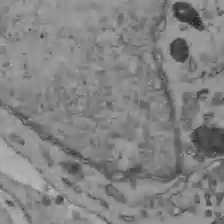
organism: C57BL Mouse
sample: Liver